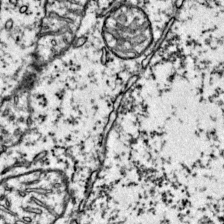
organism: Mouse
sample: Primary visual cortex